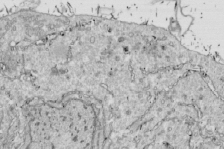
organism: Drosophila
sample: Cell division; meiosis; drosophila spermatocytes